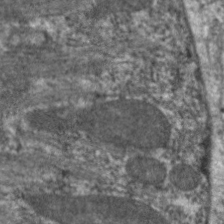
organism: C. elegans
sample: Pharynx